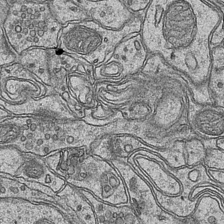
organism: Mouse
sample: CA1 Hippocampus